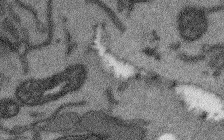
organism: Arabidopsis thaliana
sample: Root tip